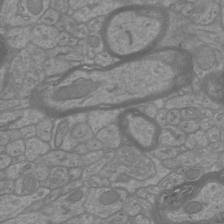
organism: Mouse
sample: Cortical neurons